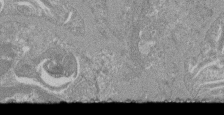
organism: Mouse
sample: Glomerulus